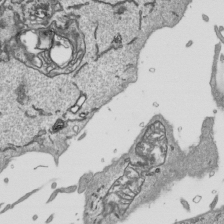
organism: Human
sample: Mitochondria in HCT116 cells